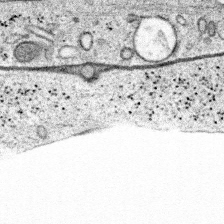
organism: Human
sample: HeLa cells